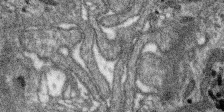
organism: Human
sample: Lung epithelial cells infected with SARS-CoV-2